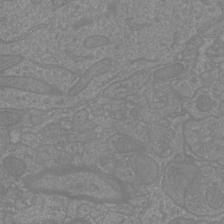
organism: Mouse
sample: Cortical neurons